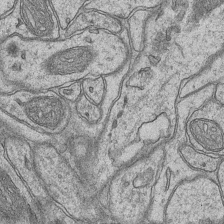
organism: Mouse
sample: CA1 Hippocampus